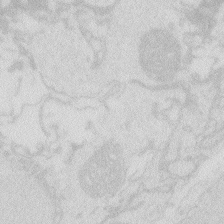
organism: Zebrafish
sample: Macrophage